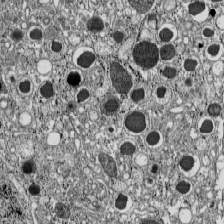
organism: C57BL Mouse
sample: Pancreatic islet